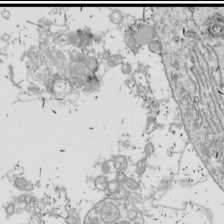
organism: Drosophila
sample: Cell division; meiosis; drosophila spermatocytes